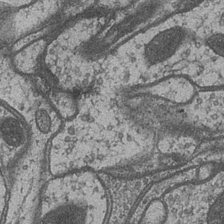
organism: Drosophila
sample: Optic medulla